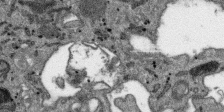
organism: Human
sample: Lung epithelial cells, uninfected (mock) control